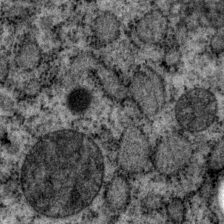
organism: P. pacificus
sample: Pharynx